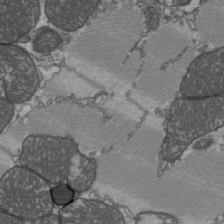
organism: C57BL Mouse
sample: Heart